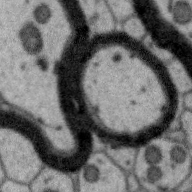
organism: Zebra finch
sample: Brain